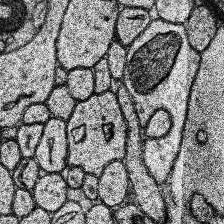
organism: Human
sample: Temporal Lobe